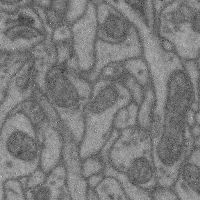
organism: Mouse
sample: Cerebral cortex